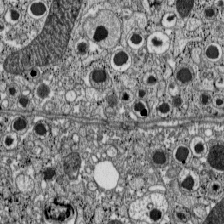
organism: C57BL Mouse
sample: Pancreatic islet